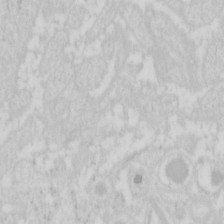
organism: Mouse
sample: Pancreas